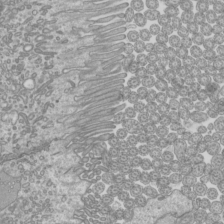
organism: Mouse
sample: Cilia; mouse epididymis